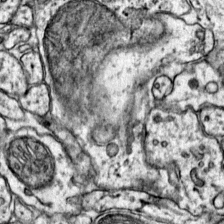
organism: Mouse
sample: Primary visual cortex